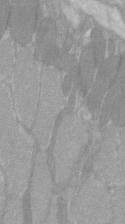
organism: C57BL Mouse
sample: Tibialis anterior muscle cell